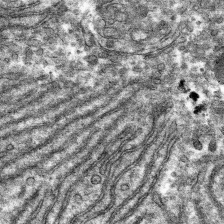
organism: Mouse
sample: Mouse hepatocytes